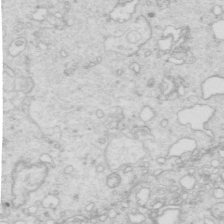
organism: Mouse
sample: Multiciliated cells